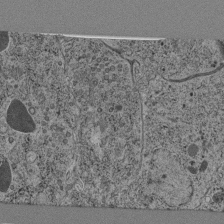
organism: C. elegans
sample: C. elegans pharynx